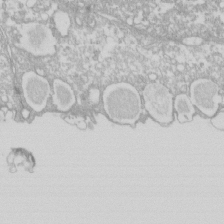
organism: Xenopus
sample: Cilia; centrioles in frog embryo cells